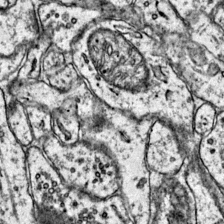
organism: Mouse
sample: Primary visual cortex